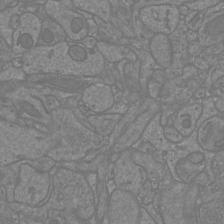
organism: Mouse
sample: Cortical neurons